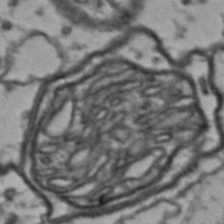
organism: Drosophila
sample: Brain